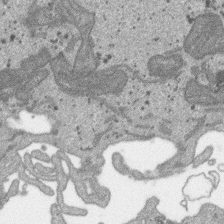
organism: Human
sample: Lung epithelial cells infected with SARS-CoV-2